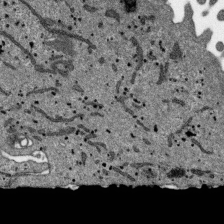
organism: Human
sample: Lung epithelial cells, uninfected (mock) control